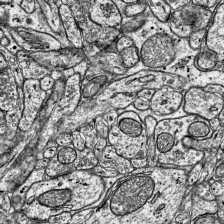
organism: Mouse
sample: Visual Cortex